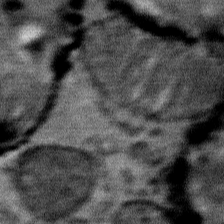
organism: Mouse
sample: Mouse Salivary gland